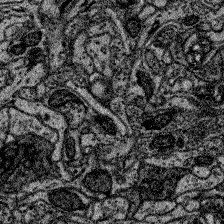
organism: Zebrafish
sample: Larval olfactory bulb